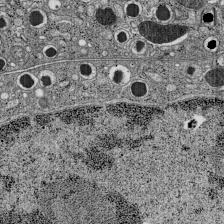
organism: C57BL Mouse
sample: Pancreatic islet